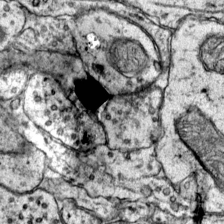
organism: Mouse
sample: Primary visual cortex